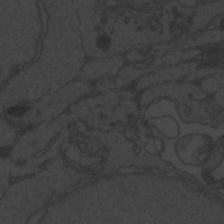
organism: Zebrafish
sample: Macrophage infected with Toxoplasma gondii